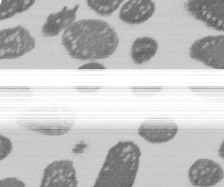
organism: E. coli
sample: Bacterial nucleoid